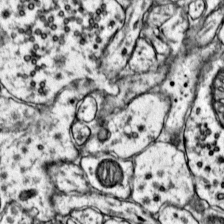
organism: Mouse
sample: Primary visual cortex